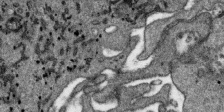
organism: Human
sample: Lung epithelial cells, uninfected (mock) control